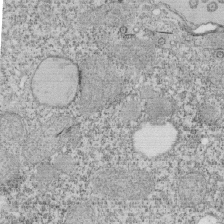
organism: Tetrahymena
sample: Cilia in tetrahymena